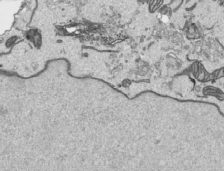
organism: Human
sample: Mitochondria in HCT116 cells